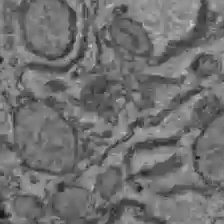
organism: C57BL Mouse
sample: Liver